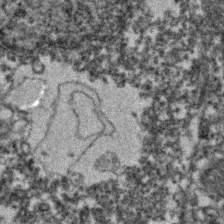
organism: Zebrafish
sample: Zebrafish embryo